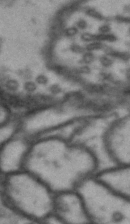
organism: Drosophila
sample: Brain